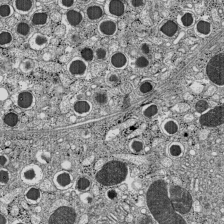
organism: C57BL Mouse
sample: Pancreatic islet